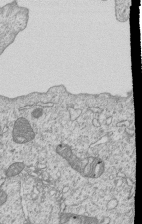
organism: Human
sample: MDA-MB-231 cells